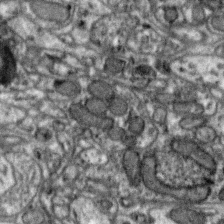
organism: Zebra finch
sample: Brain